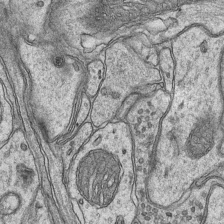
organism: Mouse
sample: CA1 Hippocampus